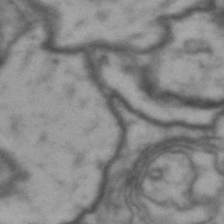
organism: Drosophila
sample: Brain